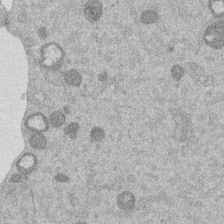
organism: Mouse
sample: Dividing mouse embryo 1 cell stage